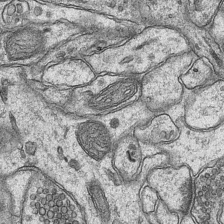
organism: Mouse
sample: CA1 Hippocampus